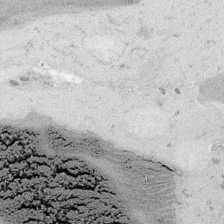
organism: Embia sp.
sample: Silk gland